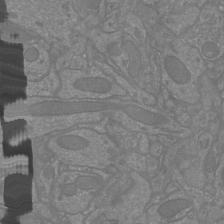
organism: Mouse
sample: Cortical neurons